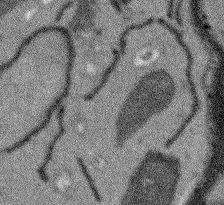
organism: Arabidopsis thaliana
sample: Root tip